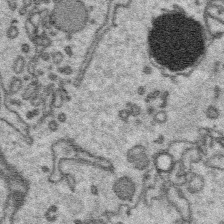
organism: Platynereis dumerilii